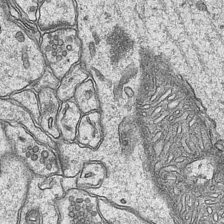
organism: Mouse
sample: CA1 Hippocampus